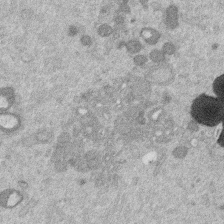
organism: Mouse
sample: Dividing mouse embryo 1 cell stage